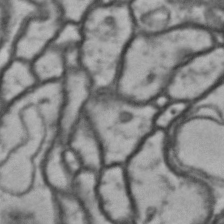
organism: Drosophila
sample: Brain